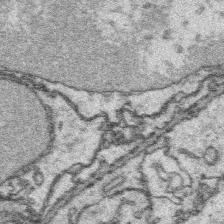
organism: Platynereis dumerilii